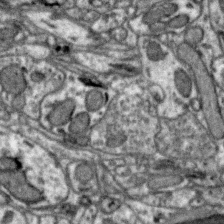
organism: Zebra finch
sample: Brain